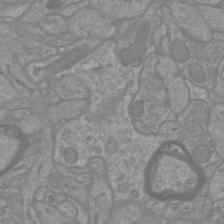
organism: Mouse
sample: Cortical neurons